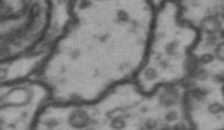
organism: Drosophila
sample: Brain